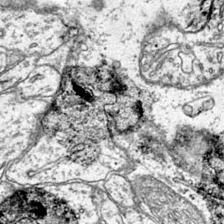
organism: Mouse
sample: Primary visual cortex